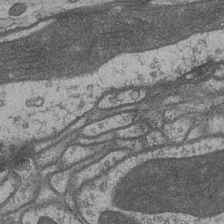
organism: Drosophila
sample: Optic medulla